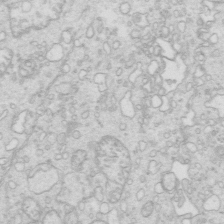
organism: Mouse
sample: Multiciliated cells